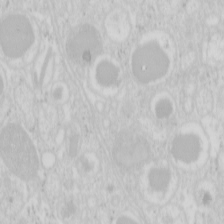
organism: Mouse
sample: Pancreas